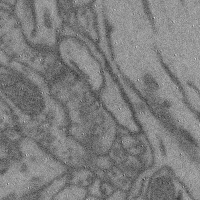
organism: Mouse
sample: Cerebral cortex